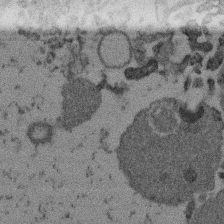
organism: Mouse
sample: Dividing mouse embryo 1 cell stage